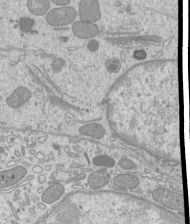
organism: Mouse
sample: Cilia; mouse epididymis